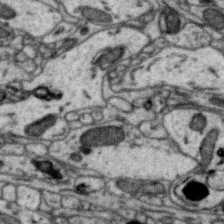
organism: Zebra finch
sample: Brain